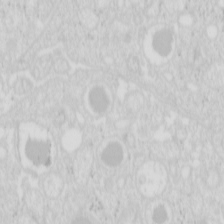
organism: Mouse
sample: Pancreas